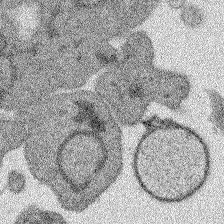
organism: Human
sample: HeLa cells